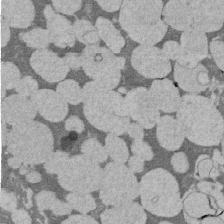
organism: Rat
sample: Salivary granule